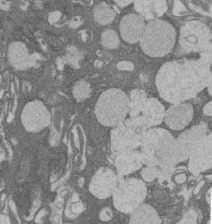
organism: Rat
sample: Salivary granule